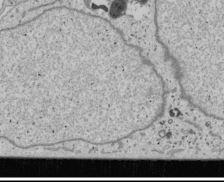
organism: Human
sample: Mitochondria in U2OS cells